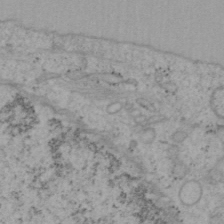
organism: Human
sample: HeLa cells